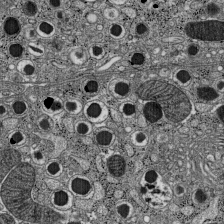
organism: C57BL Mouse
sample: Pancreatic islet